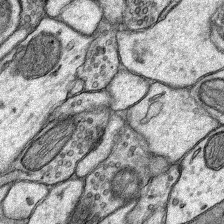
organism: Rat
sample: Hippocampus